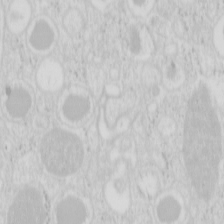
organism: Mouse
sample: Pancreas